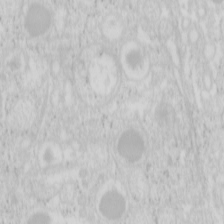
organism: Mouse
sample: Pancreas